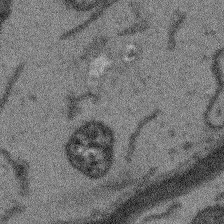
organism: Arabidopsis thaliana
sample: Root tip